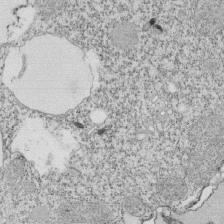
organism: Tetrahymena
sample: Cilia in tetrahymena